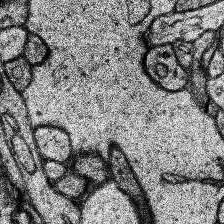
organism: Human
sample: Temporal Lobe